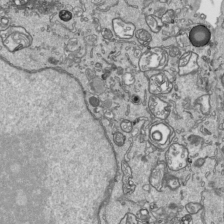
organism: Human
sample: Mitochondria in HCT116 cells